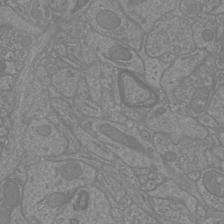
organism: Mouse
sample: Cortical neurons